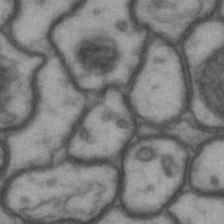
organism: Drosophila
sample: Brain